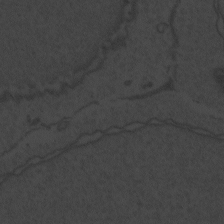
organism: Zebrafish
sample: Macrophage infected with Toxoplasma gondii